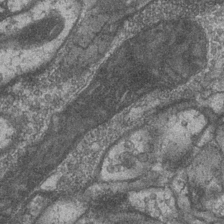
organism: Drosophila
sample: Optic medulla